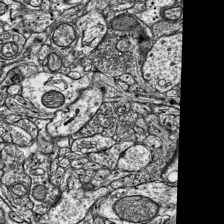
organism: Mouse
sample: Visual Cortex